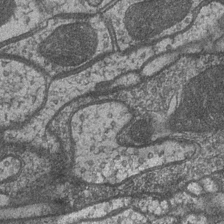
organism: Drosophila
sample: Optic medulla